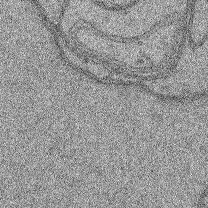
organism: Human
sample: HeLa cells